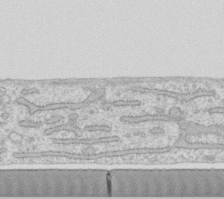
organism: Human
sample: Fibroblast cells